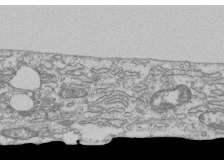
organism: Human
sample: Fibroblast cells